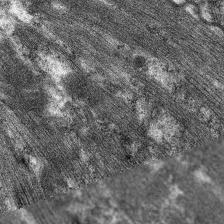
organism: C. elegans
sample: Pharynx